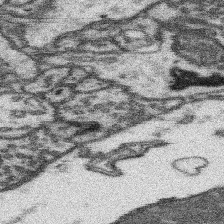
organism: Mouse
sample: Somatosensory cortex neuropil